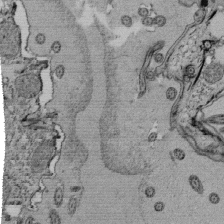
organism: Tetrahymena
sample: Cilia in tetrahymena